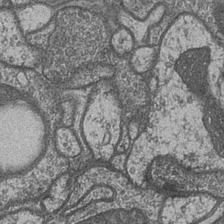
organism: Drosophila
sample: Optic medulla